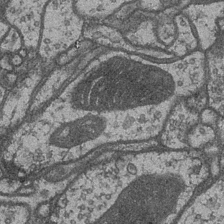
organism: Drosophila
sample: Optic medulla